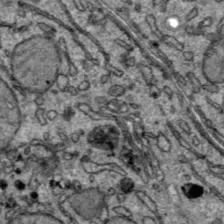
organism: C57BL Mouse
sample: Liver